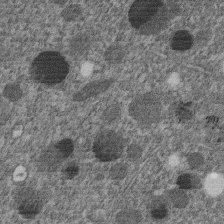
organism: C. elegans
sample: C. elegans embryo early stage